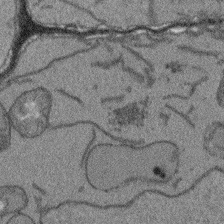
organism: Arabidopsis thaliana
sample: Root tip